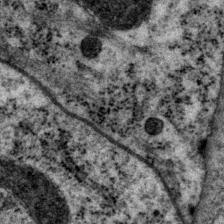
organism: P. pacificus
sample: Pharynx